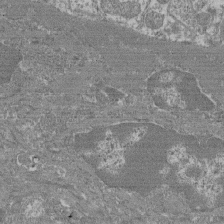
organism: Mouse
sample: Glomerulus